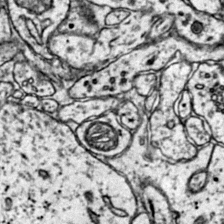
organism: Mouse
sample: Primary visual cortex